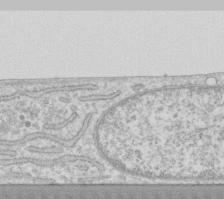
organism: Human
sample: Fibroblast cells